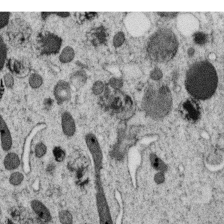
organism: C. elegans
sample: C. elegans oocyte; sperm cells